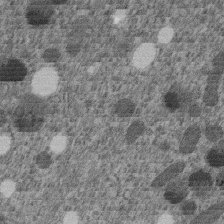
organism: C. elegans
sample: C. elegans embryo early stage